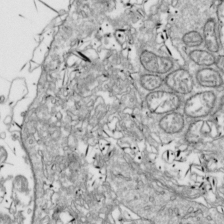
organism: Drosophila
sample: Cell division; meiosis; drosophila spermatocytes